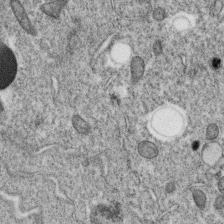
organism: C. elegans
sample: C. elegans oocyte; sperm cells